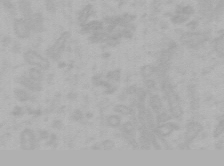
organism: Mouse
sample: Choroid plexus